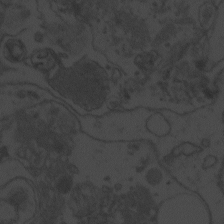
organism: Zebrafish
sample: Macrophage infected with Toxoplasma gondii